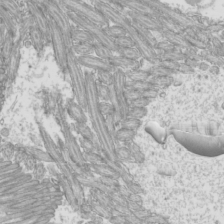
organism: Mouse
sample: Cilia; mouse epididymis